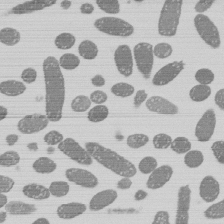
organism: E. coli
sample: Bacterial nucleoid